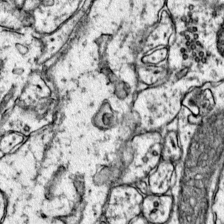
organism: Mouse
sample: Primary visual cortex